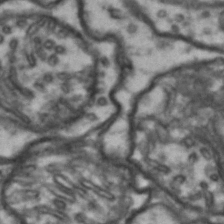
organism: Drosophila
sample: Brain